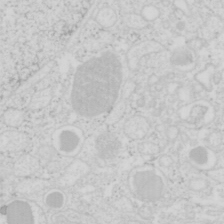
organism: Mouse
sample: Pancreas